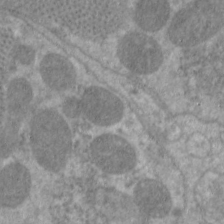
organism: C. elegans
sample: Pharynx